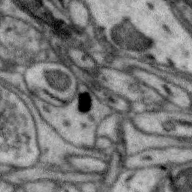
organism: Zebra finch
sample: Brain